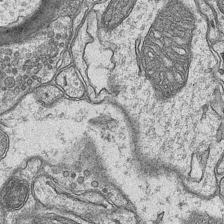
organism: Mouse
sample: CA1 Hippocampus